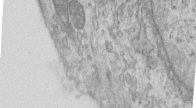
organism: Human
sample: Centriole in RPE cells